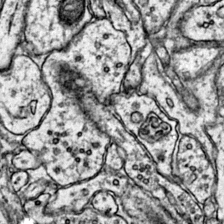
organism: Mouse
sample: Primary visual cortex